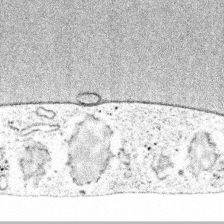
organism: Human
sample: HeLa cells